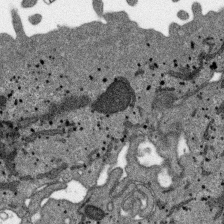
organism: Human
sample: Lung epithelial cells, uninfected (mock) control